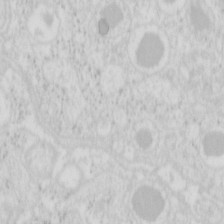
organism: Mouse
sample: Pancreas